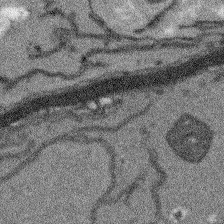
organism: Arabidopsis thaliana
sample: Root tip